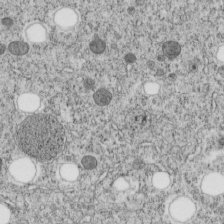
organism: C. elegans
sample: C. elegans embryo early stage